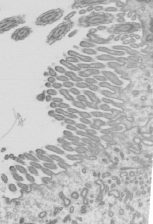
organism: Mouse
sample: Mouse epididymis efferent ductule cilia